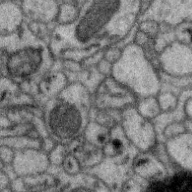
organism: Zebra finch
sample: Brain